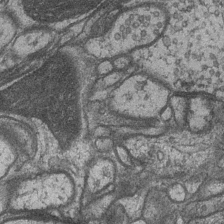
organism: Drosophila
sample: Optic medulla